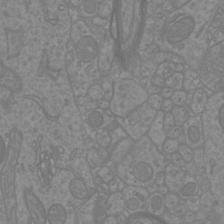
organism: Mouse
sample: Cortical neurons